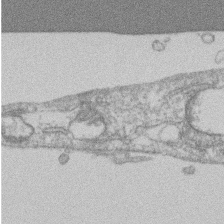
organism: Mouse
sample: T cell stromal cell synapse